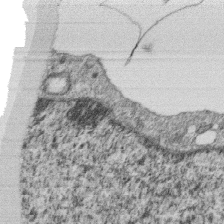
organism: African green monkey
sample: Vero E6 cells infected with SARS-CoV-2